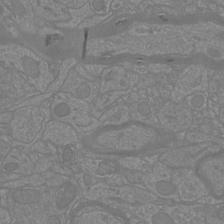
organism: Mouse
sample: Cortical neurons